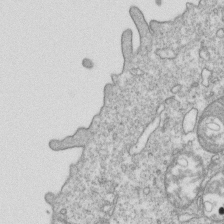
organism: Mouse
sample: Activated OT-1 CD8+ T cells